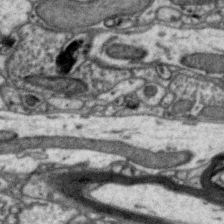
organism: Zebra finch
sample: Brain